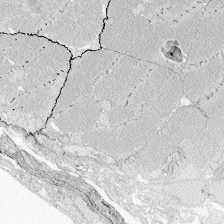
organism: Zebrafish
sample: Whole-Brain